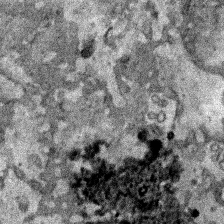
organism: Human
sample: Mitochondria in HCT116 cells